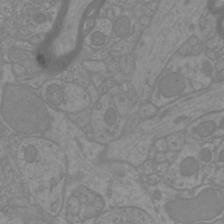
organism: Mouse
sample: Cortical neurons